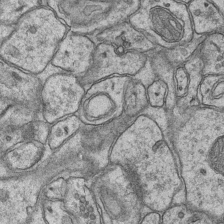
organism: Mouse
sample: CA1 Hippocampus